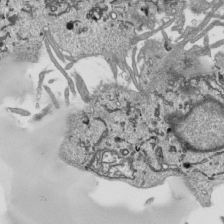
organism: Human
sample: Mitochondria in HCT116 cells